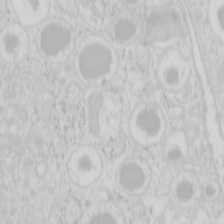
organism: Mouse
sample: Pancreas